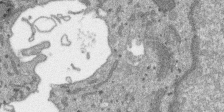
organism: Human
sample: Lung epithelial cells infected with SARS-CoV-2